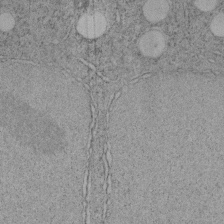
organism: C. elegans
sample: C. elegans embryo early stage